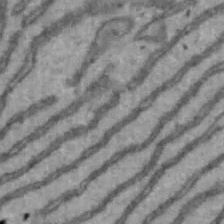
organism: Mouse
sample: Liver